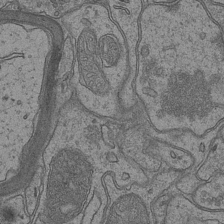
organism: Mouse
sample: CA1 Hippocampus